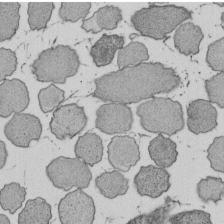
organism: E. coli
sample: Bacterial nucleoid